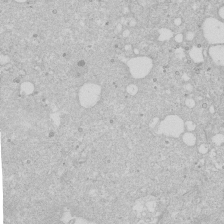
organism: Human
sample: Caco-2 cells